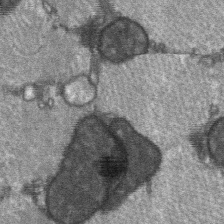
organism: C57BL Mouse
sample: Soleus